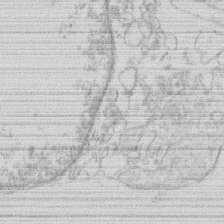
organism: Human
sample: Macrophage cells